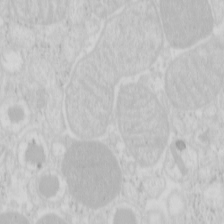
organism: Mouse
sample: Pancreas